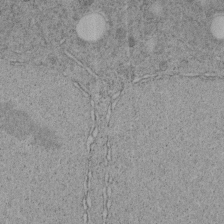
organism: C. elegans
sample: C. elegans embryo early stage